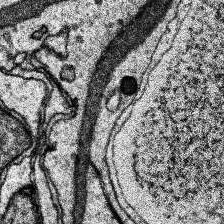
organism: Human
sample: Temporal Lobe